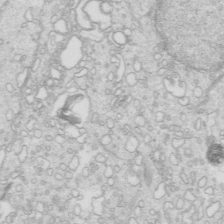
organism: Mouse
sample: Multiciliated cells